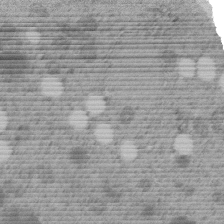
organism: C. elegans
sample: C. elegans embryo early stage